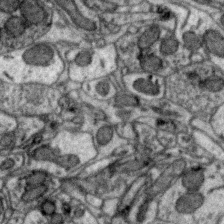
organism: Zebra finch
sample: Brain